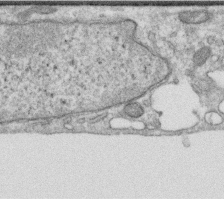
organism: Human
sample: Centriole in RPE cells